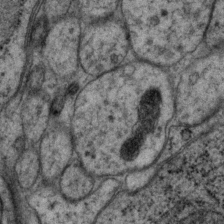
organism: P. pacificus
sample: Pharynx